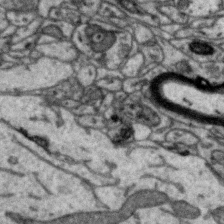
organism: Zebra finch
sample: Brain